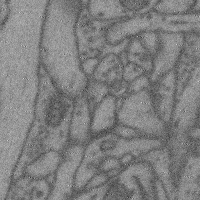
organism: Mouse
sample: Cerebral cortex